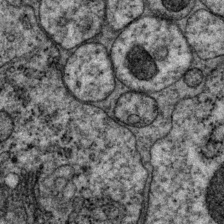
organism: P. pacificus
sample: Pharynx